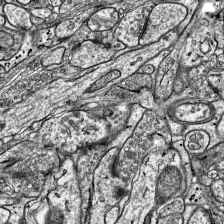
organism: Mouse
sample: Visual Cortex